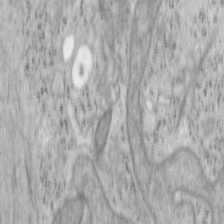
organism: Human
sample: HeLa cells